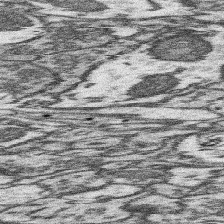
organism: Mouse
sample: Somatosensory cortex neuropil